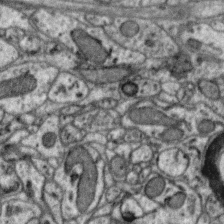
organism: Zebra finch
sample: Brain